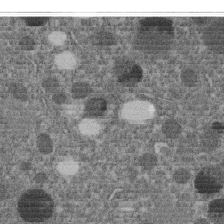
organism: C. elegans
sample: C. elegans embryo early stage